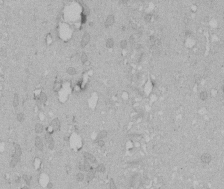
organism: Human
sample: Melanocyte Keratinocyte synapse skin construct